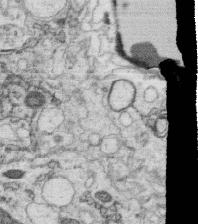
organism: C. elegans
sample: C. elegans oocyte; sperm cells